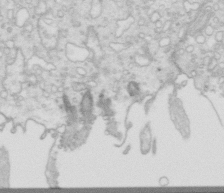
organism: Mouse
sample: Multiciliated cells